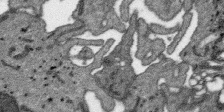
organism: Human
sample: Lung epithelial cells, uninfected (mock) control